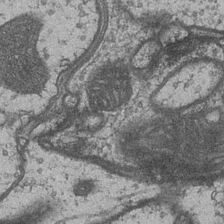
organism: Drosophila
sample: Optic medulla